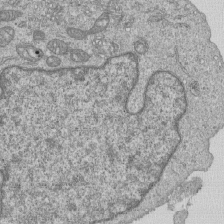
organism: Human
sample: MDA-MB-231 cells